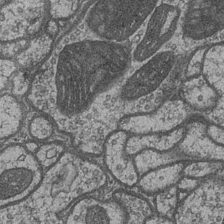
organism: Drosophila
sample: Optic medulla